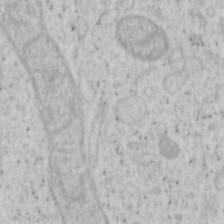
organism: Human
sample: HeLa cells